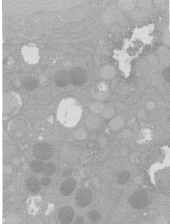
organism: C. elegans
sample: C. elegans oocyte; sperm cells